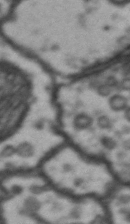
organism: Drosophila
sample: Brain